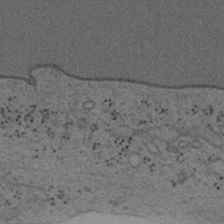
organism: Human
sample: HeLa cells